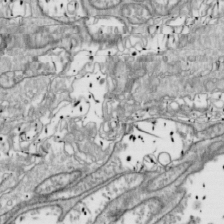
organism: Drosophila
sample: Cell division; meiosis; drosophila spermatocytes